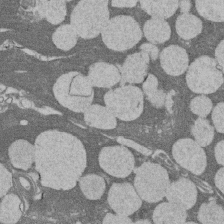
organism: Rat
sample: Salivary granule